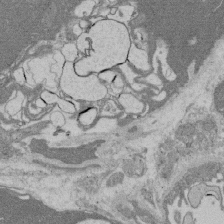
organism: Rat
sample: Salivary granule